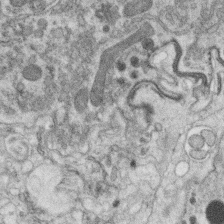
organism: C. elegans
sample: C. elegans oocyte; sperm cells